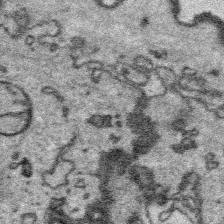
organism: Platynereis dumerilii